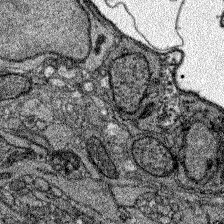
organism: Zebrafish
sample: Larval olfactory bulb